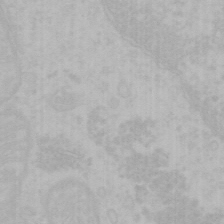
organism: Mouse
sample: Choroid plexus